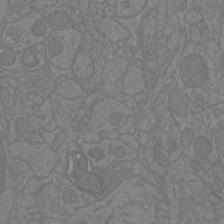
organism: Mouse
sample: Cortical neurons